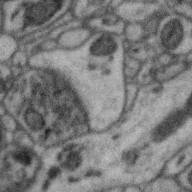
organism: Zebra finch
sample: Brain